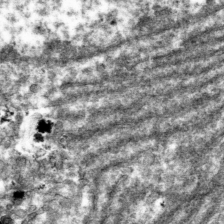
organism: Mouse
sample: Mouse hepatocytes